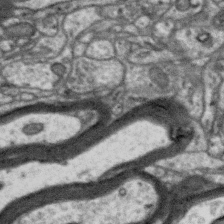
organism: Zebra finch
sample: Brain